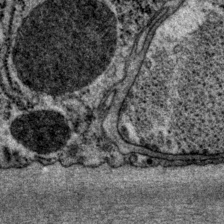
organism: P. pacificus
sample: Pharynx